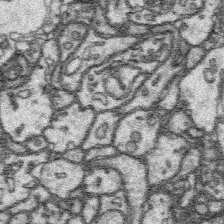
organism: Platynereis dumerilii